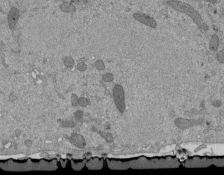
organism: Mouse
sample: ED-1 cell nuclei; centrioles